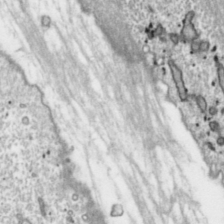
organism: Toxoplasma gondii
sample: Parasites in a vacuole inside a host cell